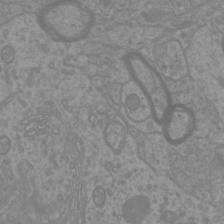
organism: Mouse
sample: Cortical neurons